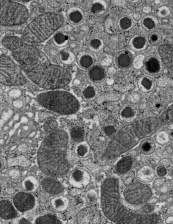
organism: C57BL Mouse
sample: Pancreatic islet